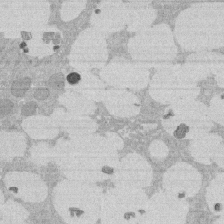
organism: Rat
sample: Salivary granule